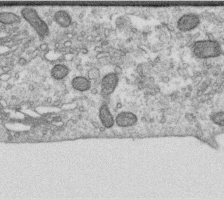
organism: Human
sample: Centriole in RPE cells